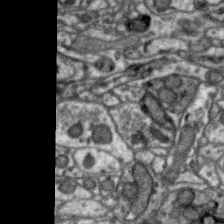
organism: Zebra finch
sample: Brain